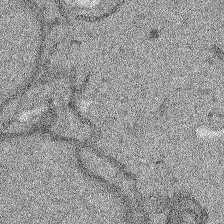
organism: Human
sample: HeLa cells